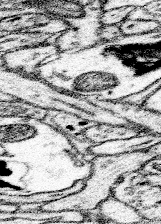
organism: Mouse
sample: Somatosensory cortex neuropil